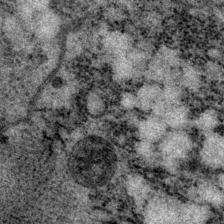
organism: P. pacificus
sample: Pharynx